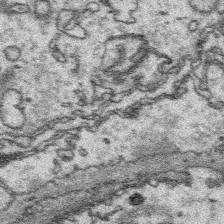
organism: Platynereis dumerilii